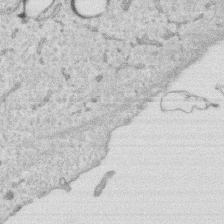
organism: Human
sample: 1205lu cells